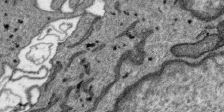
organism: Human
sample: Lung epithelial cells, uninfected (mock) control